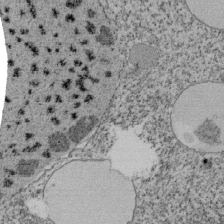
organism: Tetrahymena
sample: Cilia in tetrahymena